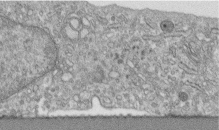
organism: Human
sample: Centriole in fibroblast cells